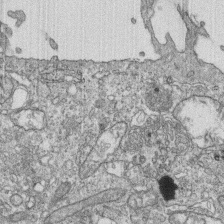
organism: Human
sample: HeLa cell HIV synapse